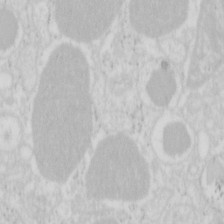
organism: Mouse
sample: Pancreas